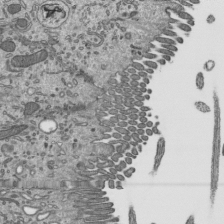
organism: Mouse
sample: Mouse epididymis efferent ductule cilia